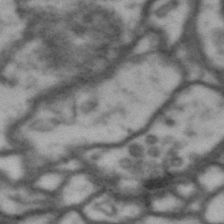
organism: Drosophila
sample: Brain